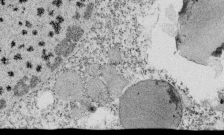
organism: Tetrahymena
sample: Cilia in tetrahymena